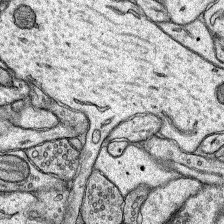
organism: Rat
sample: Hippocampus